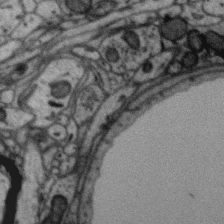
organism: Zebra finch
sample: Brain